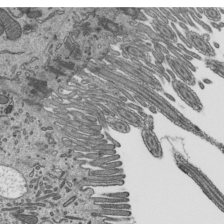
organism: Mouse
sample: Mouse epididymis efferent ductule cilia